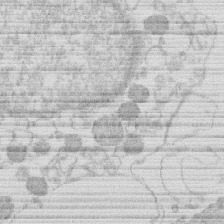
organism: Human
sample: Macrophage cells